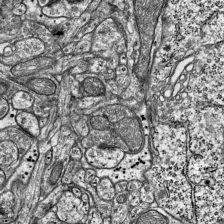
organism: Mouse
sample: Visual Cortex